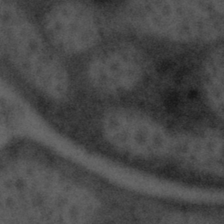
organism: Tuwongella immobilis